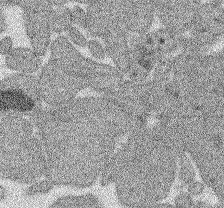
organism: Human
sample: HeLa cells